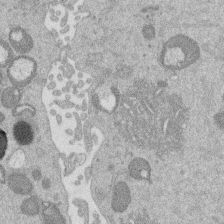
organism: Mouse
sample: Dividing mouse embryo 1 cell stage